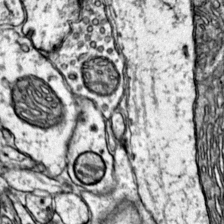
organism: Mouse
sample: Primary visual cortex